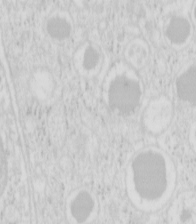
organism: Mouse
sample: Pancreas